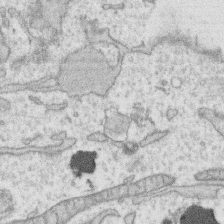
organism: Human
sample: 1205lu cells